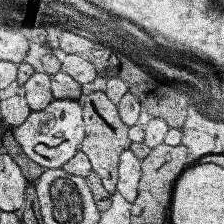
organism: Human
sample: Temporal Lobe